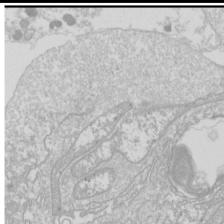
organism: Drosophila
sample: Cell division; meiosis; drosophila spermatocytes